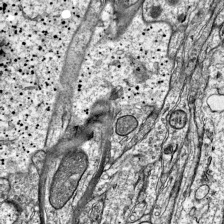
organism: Mouse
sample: Visual Cortex